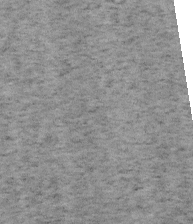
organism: Mouse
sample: OT-I killer T cells with ID8 ovarian cancer cells